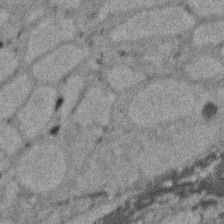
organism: Zebrafish